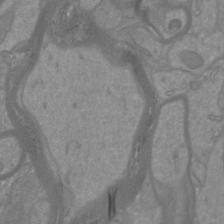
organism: Mouse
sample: Cortical neurons